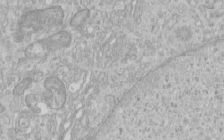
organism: Human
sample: Centriole in RPE cells